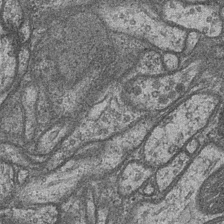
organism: Drosophila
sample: Optic medulla